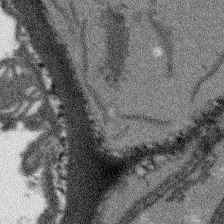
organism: Arabidopsis thaliana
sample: Root tip